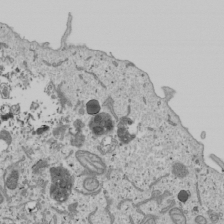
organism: Human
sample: Mitochondria in U2OS cells